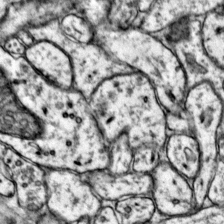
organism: Mouse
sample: Primary visual cortex